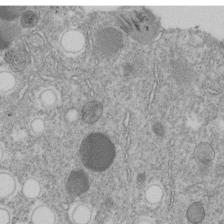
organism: C. elegans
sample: C. elegans embryo early stage